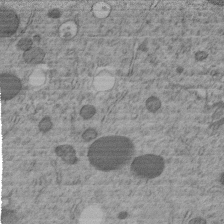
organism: C. elegans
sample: C. elegans embryo early stage